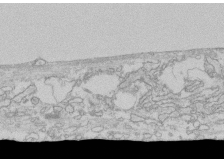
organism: Human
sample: CRL-1474